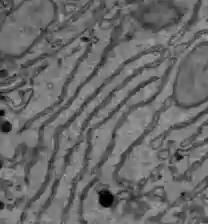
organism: C57BL Mouse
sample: Liver